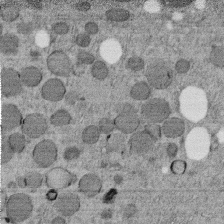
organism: C. elegans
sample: C. elegans embryo early stage